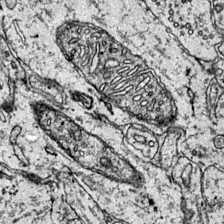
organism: Mouse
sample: Primary visual cortex